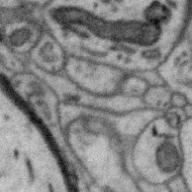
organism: Zebra finch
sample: Brain